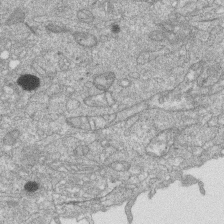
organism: Human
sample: HeLa cell HIV synapse